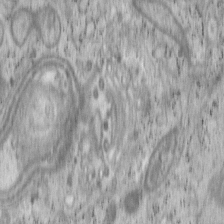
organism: Human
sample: HeLa cells